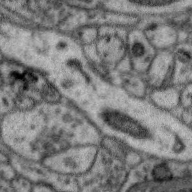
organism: Zebra finch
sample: Brain